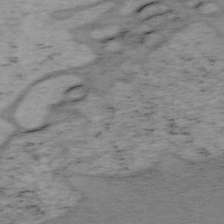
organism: Mouse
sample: OT-I killer T cells with ID8 ovarian cancer cells